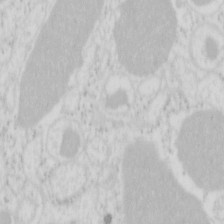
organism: Mouse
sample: Pancreas